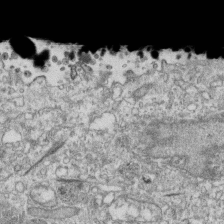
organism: Human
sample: HeLa cell HIV synapse